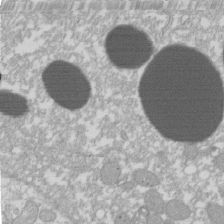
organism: Xenopus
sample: Cilia; centrioles in frog embryo cells